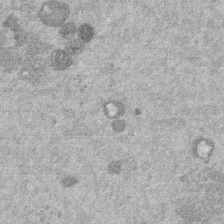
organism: Mouse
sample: Dividing mouse embryo 1 cell stage